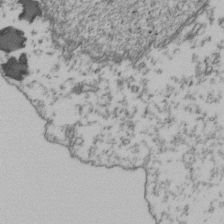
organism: Human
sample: Activated Jurkat CD4+ T cells